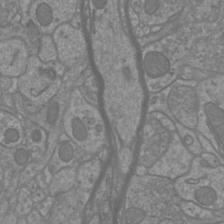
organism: Mouse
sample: Cortical neurons